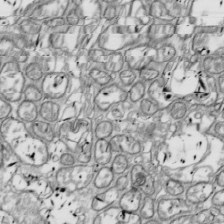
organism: Drosophila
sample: Cell division; meiosis; drosophila spermatocytes